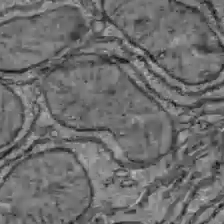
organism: C57BL Mouse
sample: Liver